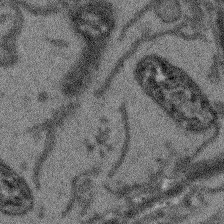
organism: Arabidopsis thaliana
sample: Root tip